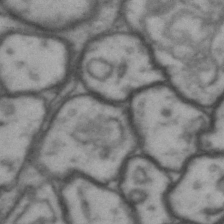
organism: Drosophila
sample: Brain